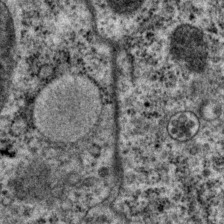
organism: P. pacificus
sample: Pharynx